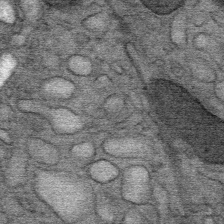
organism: Mouse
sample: Mouse Salivary gland